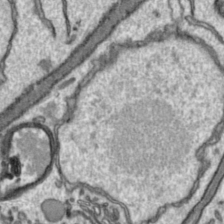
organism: Toxoplasma gondii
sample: Parasites in a vacuole inside a host cell